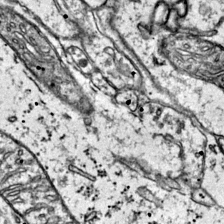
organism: Mouse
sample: Primary visual cortex